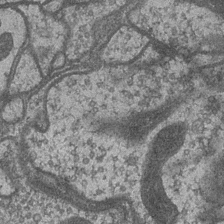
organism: Drosophila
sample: Optic medulla